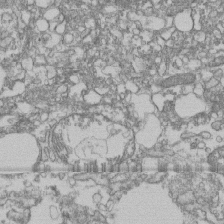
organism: Human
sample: Fibroblast cells